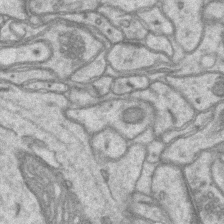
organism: Mouse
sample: CA1 Hippocampus